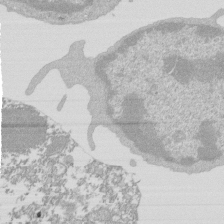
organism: Mouse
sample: Activated Pmel transgenic CD8+ T Cells